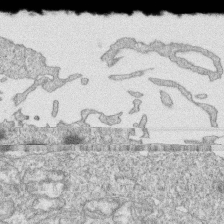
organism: Human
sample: HeLa cell HIV synapse